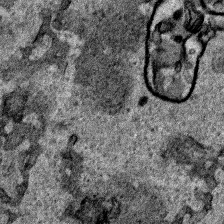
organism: Human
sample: Mitochondria in HCT116 cells